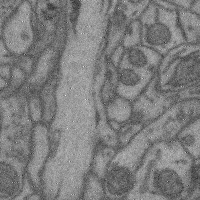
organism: Mouse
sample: Cerebral cortex